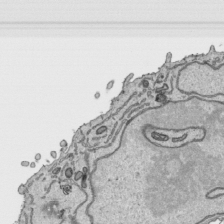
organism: Human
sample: Mitochondria in HCT116 cells